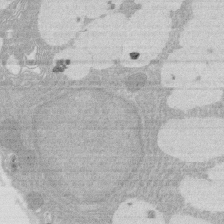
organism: Rat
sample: Salivary granule